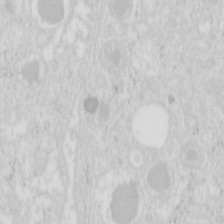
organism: Mouse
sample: Pancreas